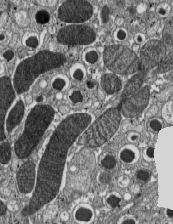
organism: C57BL Mouse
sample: Pancreatic islet